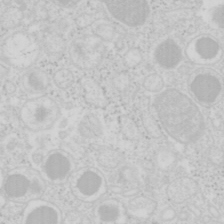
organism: Mouse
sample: Pancreas